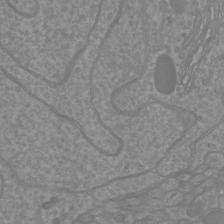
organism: Mouse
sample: Cortical neurons